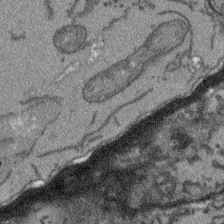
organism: Arabidopsis thaliana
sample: Root tip